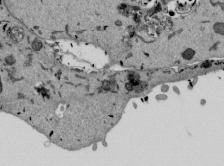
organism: Mouse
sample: ED-1 cell nuclei; centrioles